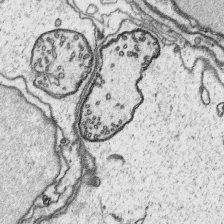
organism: Platynereis dumerilii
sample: Parapodia